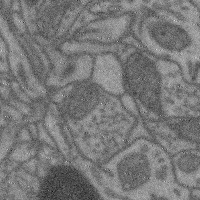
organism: Mouse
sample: Cerebral cortex